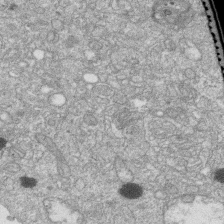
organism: Human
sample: HeLa cell HIV synapse